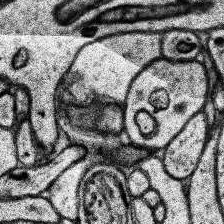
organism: Human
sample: Temporal Lobe